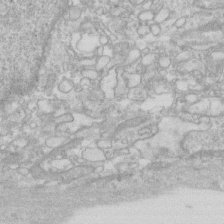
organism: Human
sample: Fibroblast cells